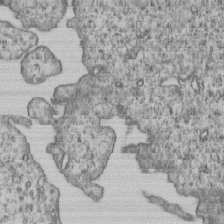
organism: Human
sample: MDA-MB-231 cells